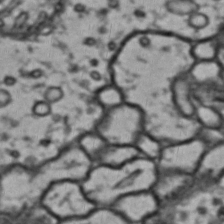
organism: Drosophila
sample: Brain